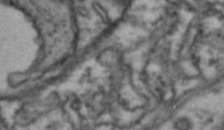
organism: Drosophila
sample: Brain